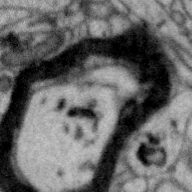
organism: Zebra finch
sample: Brain